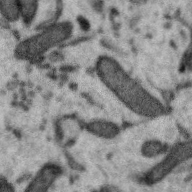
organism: Zebra finch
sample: Brain